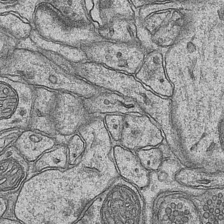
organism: Mouse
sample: CA1 Hippocampus